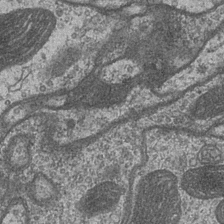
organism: Drosophila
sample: Optic medulla